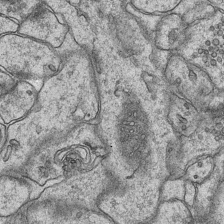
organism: Mouse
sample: CA1 Hippocampus